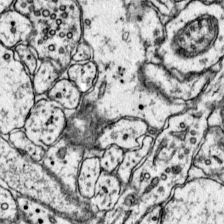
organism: Mouse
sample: Primary visual cortex